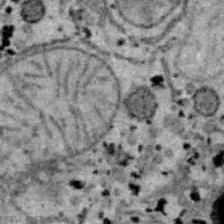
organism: Mouse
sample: Liver from an obese (ob/ob) mouse